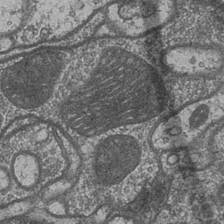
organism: Drosophila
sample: Optic medulla